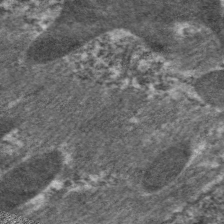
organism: C. elegans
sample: Pharynx